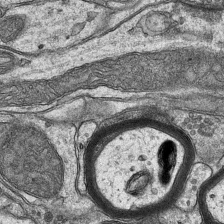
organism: Mouse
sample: CA1 Hippocampus